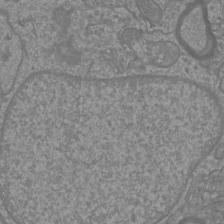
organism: Mouse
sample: Cortical neurons